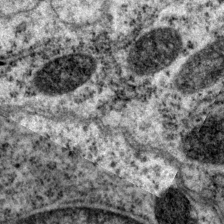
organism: P. pacificus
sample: Pharynx